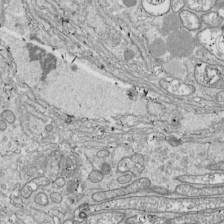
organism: Drosophila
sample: Cell division; meiosis; drosophila spermatocytes